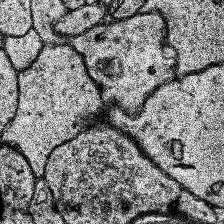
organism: Human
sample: Temporal Lobe